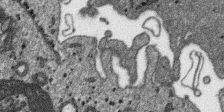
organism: Human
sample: Lung epithelial cells infected with SARS-CoV-2